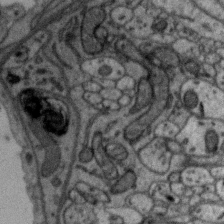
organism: Zebra finch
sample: Brain